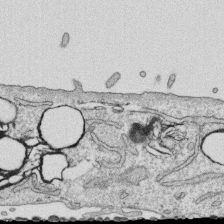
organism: Human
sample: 1205lu cells